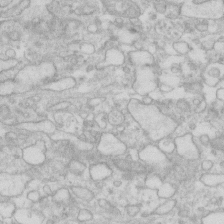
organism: Human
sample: Fibroblast cells